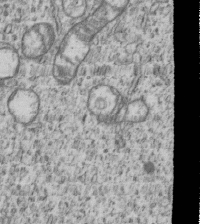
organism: Human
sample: MDA-MB-231 cells